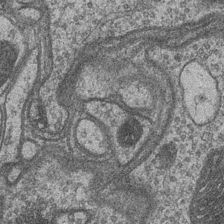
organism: Drosophila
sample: Optic medulla